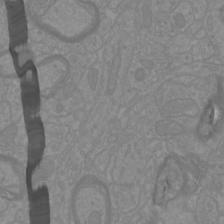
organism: Mouse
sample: Cortical neurons